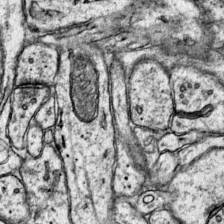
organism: Mouse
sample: Primary visual cortex